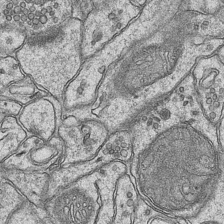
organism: Mouse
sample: CA1 Hippocampus